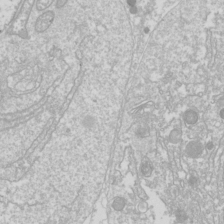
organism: Drosophila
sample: Cell division; meiosis; drosophila spermatocytes